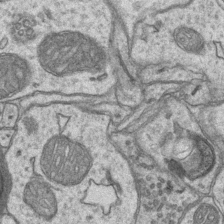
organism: Mouse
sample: CA1 Hippocampus